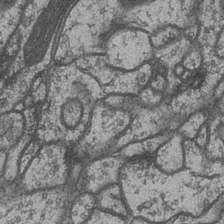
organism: Drosophila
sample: Optic medulla